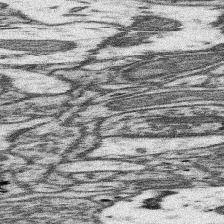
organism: Mouse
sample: Somatosensory cortex neuropil